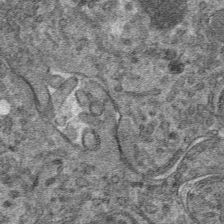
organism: Mouse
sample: Mouse hepatocytes